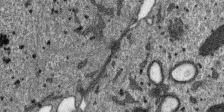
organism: Human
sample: Lung epithelial cells infected with SARS-CoV-2